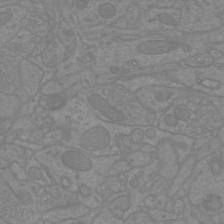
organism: Mouse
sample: Cortical neurons